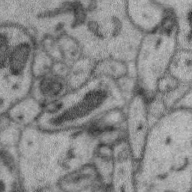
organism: Zebra finch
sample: Brain